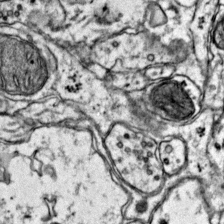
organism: Mouse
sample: Primary visual cortex